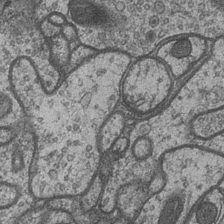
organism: Drosophila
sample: Optic medulla